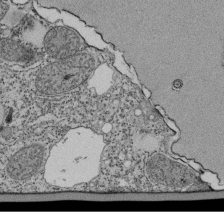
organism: Tetrahymena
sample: Cilia in tetrahymena